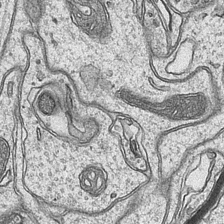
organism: Mouse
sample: CA1 Hippocampus